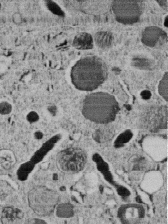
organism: C. elegans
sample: C. elegans embryo early stage